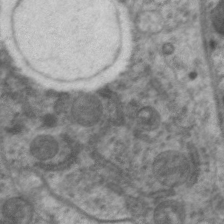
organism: C. elegans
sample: Pharynx